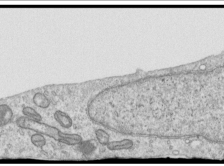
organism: Human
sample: Centriole in RPE cells